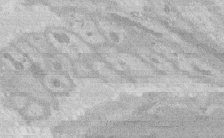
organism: Rat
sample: Salivary granule